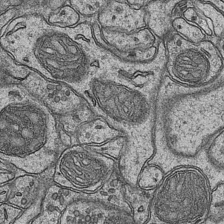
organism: Mouse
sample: CA1 Hippocampus